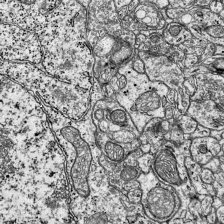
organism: Mouse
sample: Visual Cortex